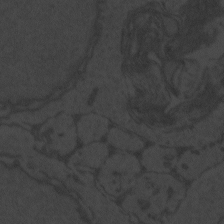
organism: Zebrafish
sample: Macrophage infected with Toxoplasma gondii